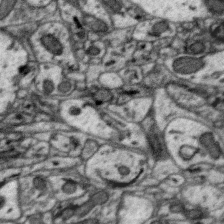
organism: Zebra finch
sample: Brain